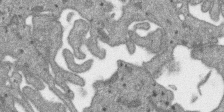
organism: Human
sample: Lung epithelial cells infected with SARS-CoV-2